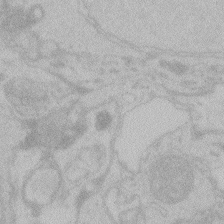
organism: Zebrafish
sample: Macrophage infected with Toxoplasma gondii